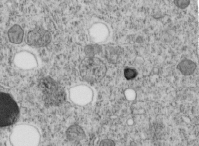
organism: C. elegans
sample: C. elegans embryo early stage